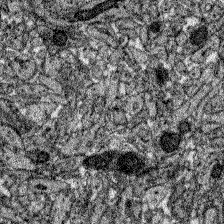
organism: Zebrafish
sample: Larval olfactory bulb